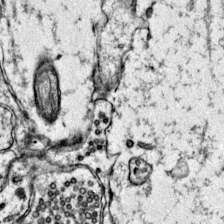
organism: Mouse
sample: Primary visual cortex